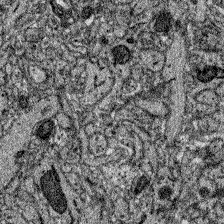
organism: Zebrafish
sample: Larval olfactory bulb